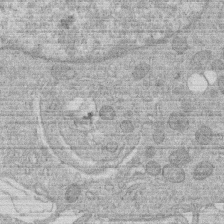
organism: Human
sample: Macrophage cells